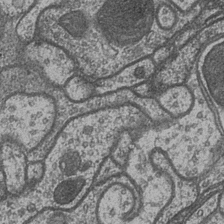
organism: Drosophila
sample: Optic medulla